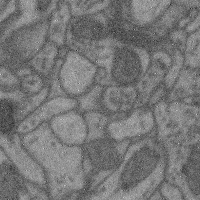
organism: Mouse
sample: Cerebral cortex